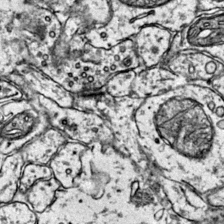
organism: Mouse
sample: Primary visual cortex